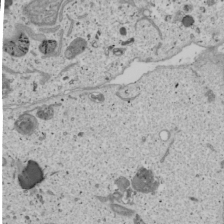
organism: Human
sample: Mitochondria in U2OS cells